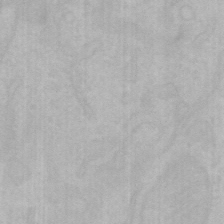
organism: Mouse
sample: Choroid plexus